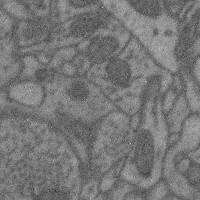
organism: Mouse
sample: Cerebral cortex